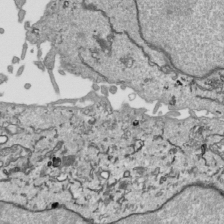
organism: Human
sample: Mitochondria in HCT116 cells